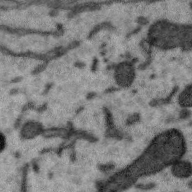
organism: Zebra finch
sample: Brain